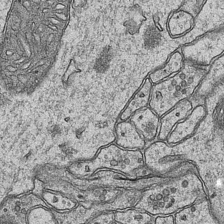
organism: Mouse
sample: CA1 Hippocampus